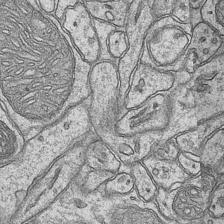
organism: Mouse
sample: CA1 Hippocampus